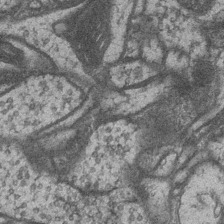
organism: Drosophila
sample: Optic medulla